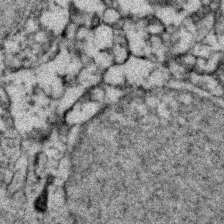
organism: Zebrafish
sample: Zebrafish embryo